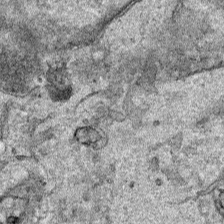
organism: Human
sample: Mitochondria in HCT116 cells